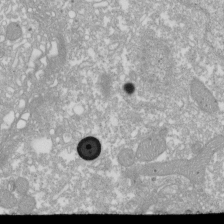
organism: Xenopus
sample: Cilia; centrioles in frog embryo cells